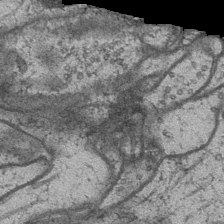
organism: Drosophila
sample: Optic medulla